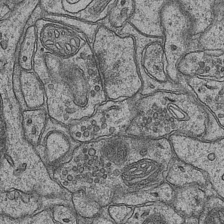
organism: Mouse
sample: CA1 Hippocampus